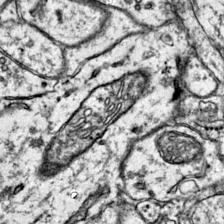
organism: Mouse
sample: Primary visual cortex